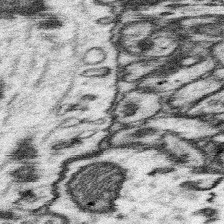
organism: Mouse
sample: Somatosensory cortex neuropil